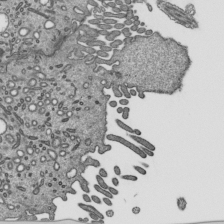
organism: Mouse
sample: Mouse epididymis efferent ductule cilia